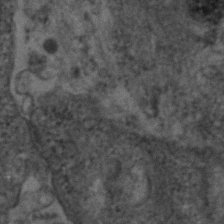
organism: Human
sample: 1205lu cells